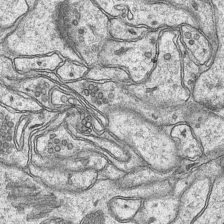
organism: Mouse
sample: CA1 Hippocampus